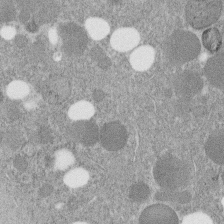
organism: C. elegans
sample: C. elegans embryo early stage